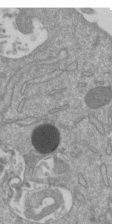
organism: Mouse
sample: ED-1 cell nuclei; centrioles